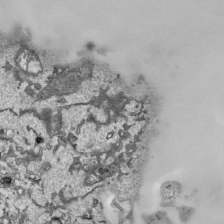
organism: Human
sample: Mitochondria in HCT116 cells